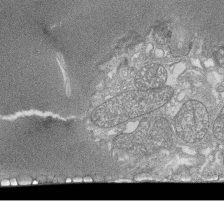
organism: Tetrahymena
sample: Cilia in tetrahymena